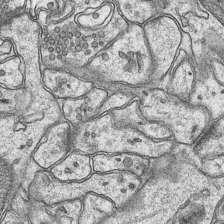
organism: Mouse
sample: CA1 Hippocampus